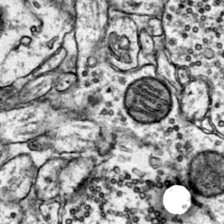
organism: Mouse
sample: Primary visual cortex